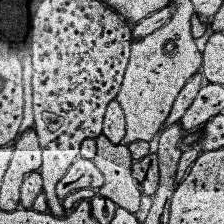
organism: Human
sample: Temporal Lobe